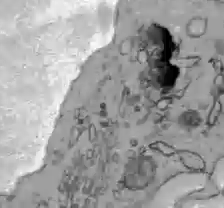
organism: C57BL Mouse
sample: Liver